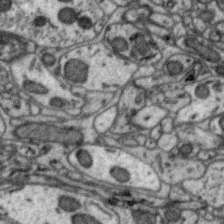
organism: Zebra finch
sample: Brain